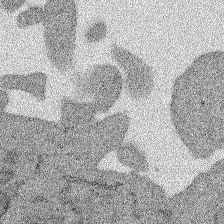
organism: Human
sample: HeLa cells